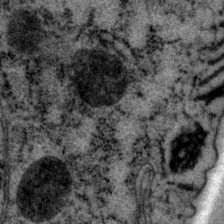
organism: P. pacificus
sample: Pharynx